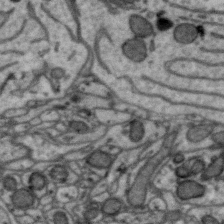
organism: Zebra finch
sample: Brain